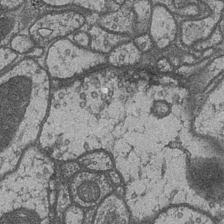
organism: Drosophila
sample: Optic medulla